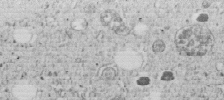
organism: C. elegans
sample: C. elegans embryo early stage